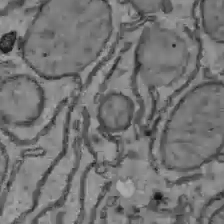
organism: C57BL Mouse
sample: Liver